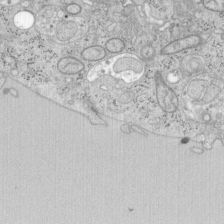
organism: Mouse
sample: OT-I killer T cells with ID8 ovarian cancer cells